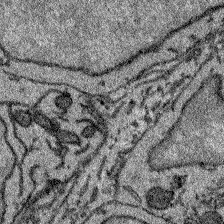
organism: Zebrafish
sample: Larval olfactory bulb